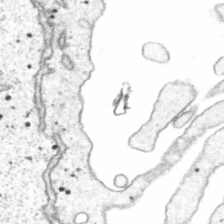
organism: Human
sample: HeLa cells